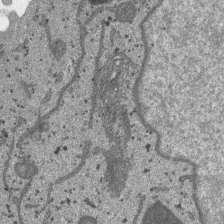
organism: Human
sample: Lung epithelial cells infected with SARS-CoV-2